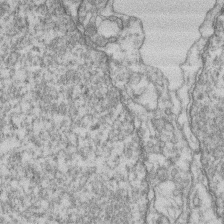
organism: Mouse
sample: T cell stromal cell synapse